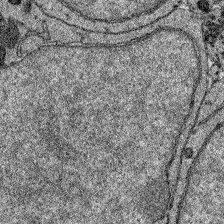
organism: Zebrafish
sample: Larval olfactory bulb